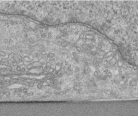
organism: Human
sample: Centriole in RPE cells